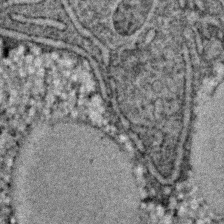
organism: C. elegans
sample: C. elegans embryo